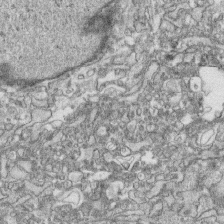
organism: Human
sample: CRL-1474